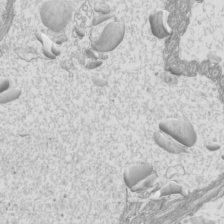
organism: Mouse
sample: Cilia; mouse epididymis